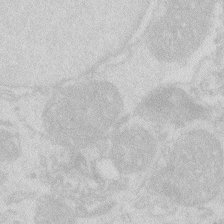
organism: Zebrafish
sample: Macrophage